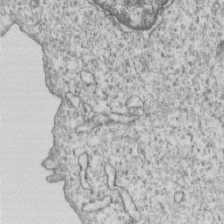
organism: Human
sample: MDA-MB-231 cells